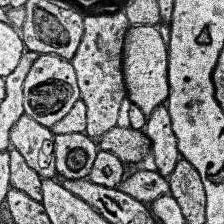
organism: Human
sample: Temporal Lobe